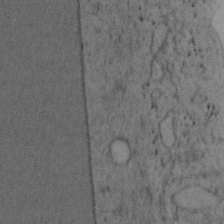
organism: Human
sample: HeLa cells